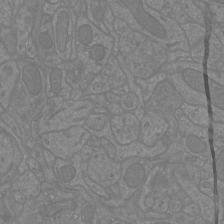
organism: Mouse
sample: Cortical neurons